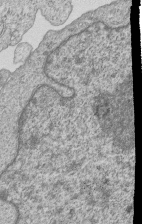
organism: Human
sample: MDA-MB-231 cells